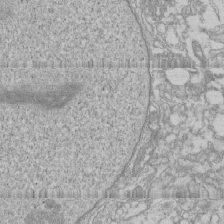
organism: Human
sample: CRL-1474